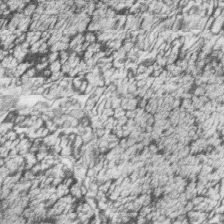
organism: Zebrafish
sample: synaptic ribbons in rod cells and cone cells